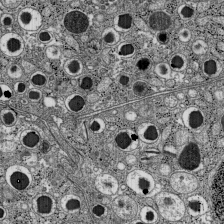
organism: C57BL Mouse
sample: Pancreatic islet